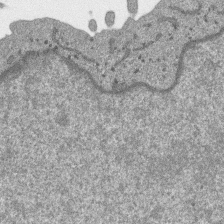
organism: Human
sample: Lung epithelial cells infected with SARS-CoV-2